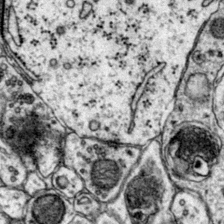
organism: Mouse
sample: Primary visual cortex